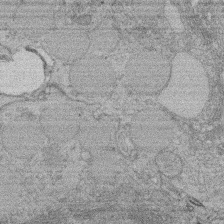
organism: Rat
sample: Salivary granule